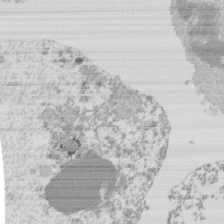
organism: Mouse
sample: Activated Pmel transgenic CD8+ T Cells